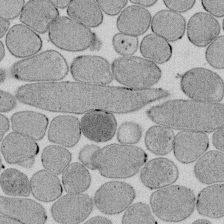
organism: E. coli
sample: Bacterial nucleoid